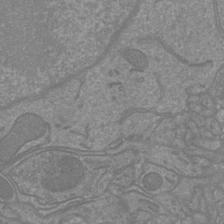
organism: Mouse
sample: Cortical neurons